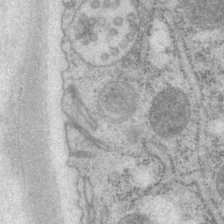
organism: P. pacificus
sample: Pharynx